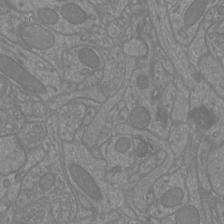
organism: Mouse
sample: Cortical neurons